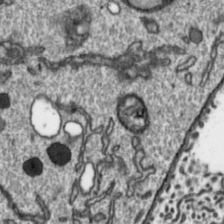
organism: Toxoplasma gondii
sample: Parasites in a vacuole inside a host cell